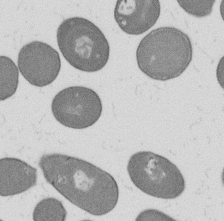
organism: B. subtilis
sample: Bacterial spore